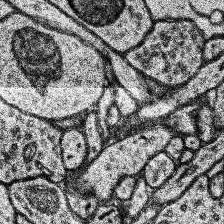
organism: Human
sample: Temporal Lobe